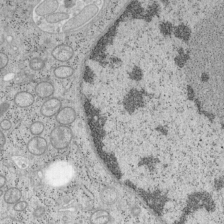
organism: Mouse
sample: OT-I killer T cells with ID8 ovarian cancer cells